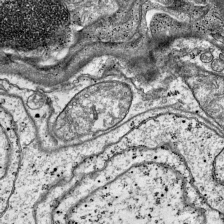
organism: Mouse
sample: Visual Cortex